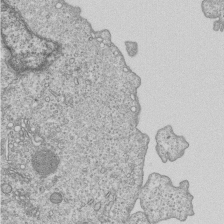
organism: Human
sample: MDA-MB-231 cells